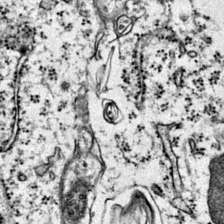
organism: Mouse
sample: Primary visual cortex